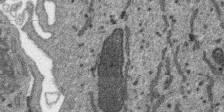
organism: Human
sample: Lung epithelial cells infected with SARS-CoV-2